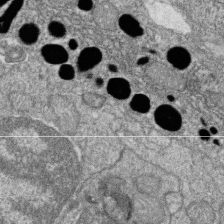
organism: Zebrafish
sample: Cilia; retinal pigment epithelium